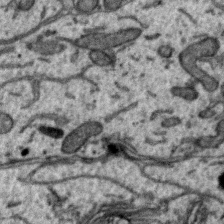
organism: Zebra finch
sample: Brain